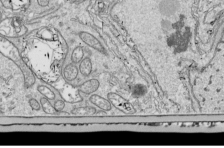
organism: Drosophila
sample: Cell division; meiosis; drosophila spermatocytes